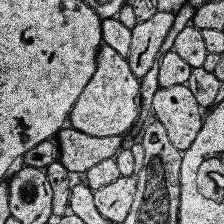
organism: Human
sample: Temporal Lobe